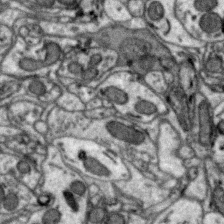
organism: Zebra finch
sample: Brain